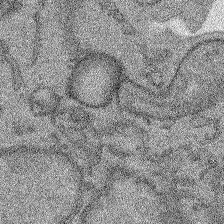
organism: Human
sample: HeLa cells